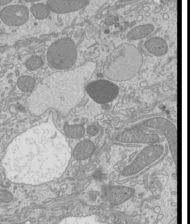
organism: Mouse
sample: Cilia; mouse epididymis